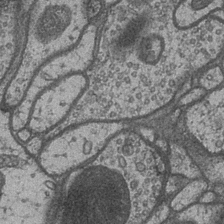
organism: Drosophila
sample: Optic medulla